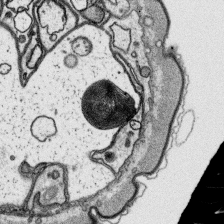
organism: Platynereis dumerilii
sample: Parapodia